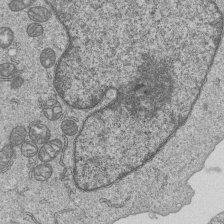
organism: Human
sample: MDA-MB-231 cells